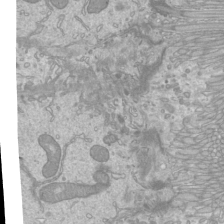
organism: Mouse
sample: Cilia; mouse epididymis